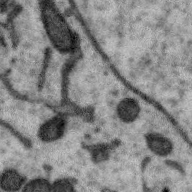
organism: Zebra finch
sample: Brain